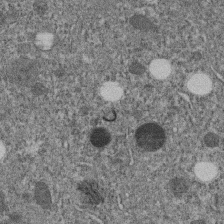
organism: C. elegans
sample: C. elegans embryo early stage